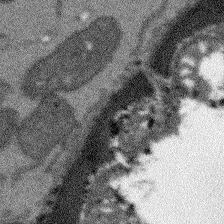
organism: Arabidopsis thaliana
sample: Root tip